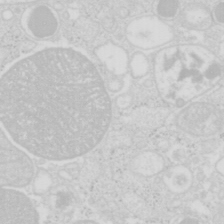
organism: Mouse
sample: Pancreas